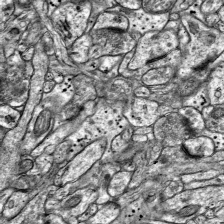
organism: Mouse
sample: Visual Cortex